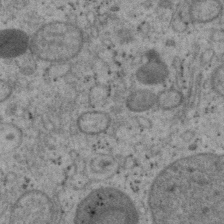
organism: Human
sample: HeLa cells